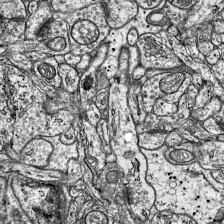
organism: Mouse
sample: Visual Cortex